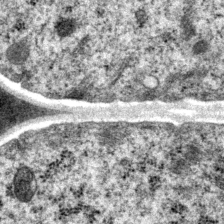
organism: P. pacificus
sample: Pharynx